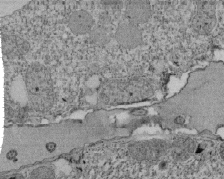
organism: Tetrahymena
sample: Cilia in tetrahymena